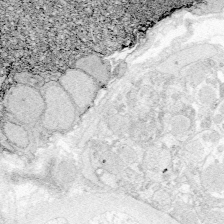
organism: Zebrafish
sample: Whole-Brain